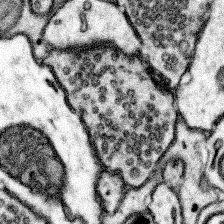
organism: Mouse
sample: Somatosensory cortex neuropil